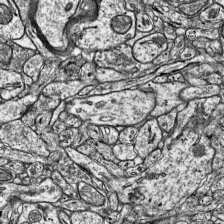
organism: Mouse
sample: Visual Cortex